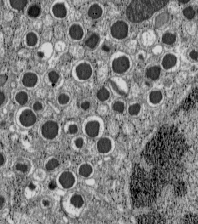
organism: C57BL Mouse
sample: Pancreatic islet